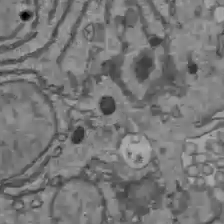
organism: C57BL Mouse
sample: Liver